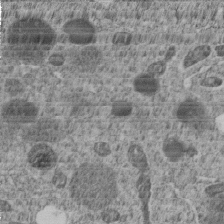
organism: C. elegans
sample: C. elegans embryo early stage